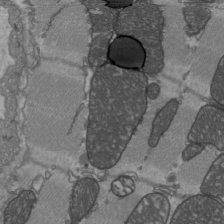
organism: C57BL Mouse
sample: Heart